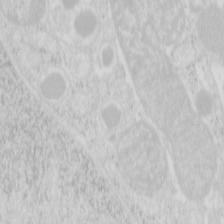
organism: Mouse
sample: Pancreas